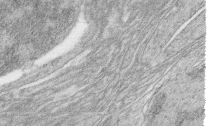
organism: Zebrafish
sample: synaptic ribbons in rod cells and cone cells